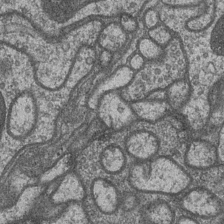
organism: Drosophila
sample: Optic medulla